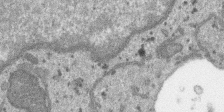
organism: Human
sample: Lung epithelial cells infected with SARS-CoV-2